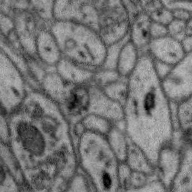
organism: Zebra finch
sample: Brain